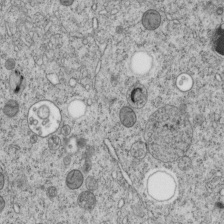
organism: C. elegans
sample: C. elegans embryo early stage